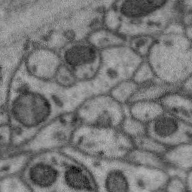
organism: Zebra finch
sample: Brain